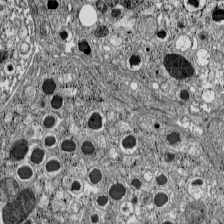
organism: C57BL Mouse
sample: Pancreatic islet